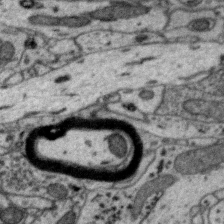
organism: Zebra finch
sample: Brain